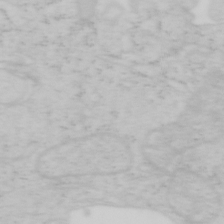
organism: Mouse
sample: OT-I killer T cells with ID8 ovarian cancer cells